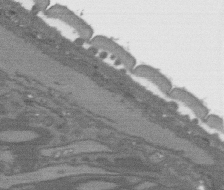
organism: C. elegans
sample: AFD neurons C. elegans